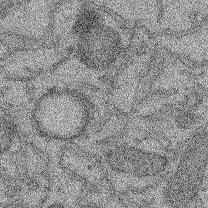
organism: Human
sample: HeLa cells